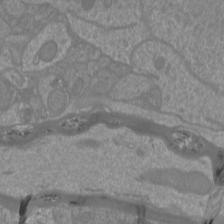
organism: Mouse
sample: Cortical neurons